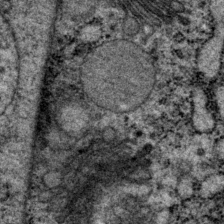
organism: P. pacificus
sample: Pharynx